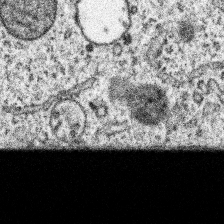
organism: Human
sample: HeLa cells